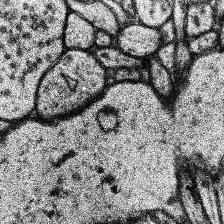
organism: Human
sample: Temporal Lobe